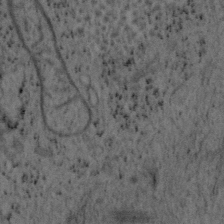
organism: Human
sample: HeLa cells